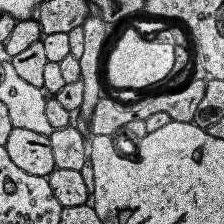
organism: Human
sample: Temporal Lobe